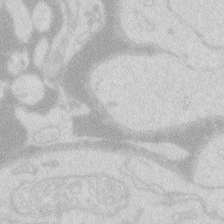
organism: Zebrafish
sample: Macrophage